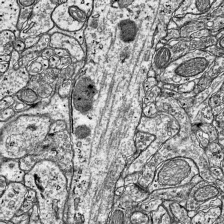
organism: Mouse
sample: Visual Cortex